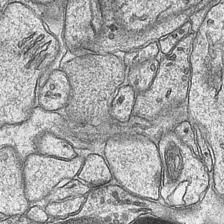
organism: Mouse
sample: CA1 Hippocampus